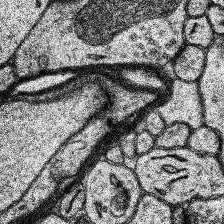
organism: Human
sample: Temporal Lobe